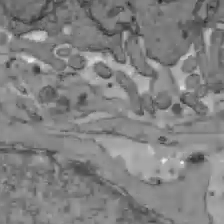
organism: C57BL Mouse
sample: Liver